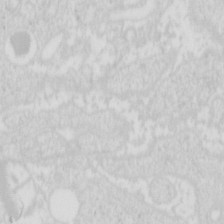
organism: Mouse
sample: Pancreas